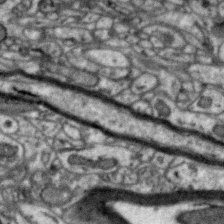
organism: Zebra finch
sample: Brain